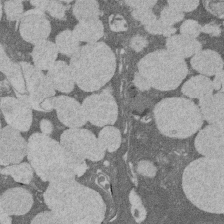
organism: Rat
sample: Salivary granule